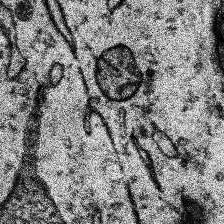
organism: Human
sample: Temporal Lobe